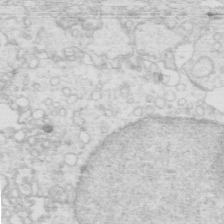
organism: Mouse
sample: Multiciliated cells